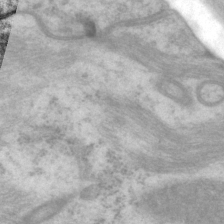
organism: P. pacificus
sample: Pharynx